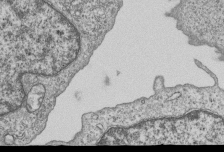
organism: Human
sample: MDA-MB-231 cells